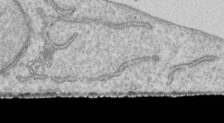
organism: Human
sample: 1205lu cells